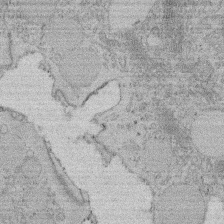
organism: Rat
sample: Salivary granule